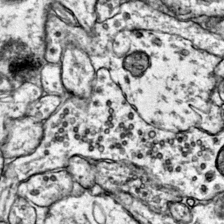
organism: Mouse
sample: Primary visual cortex